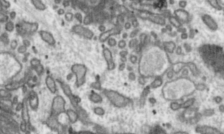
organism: Toxoplasma gondii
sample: Parasites in a vacuole inside a host cell